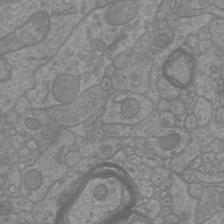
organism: Mouse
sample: Cortical neurons